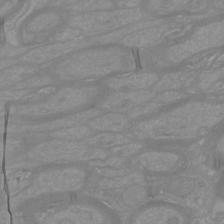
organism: Mouse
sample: Cortical neurons